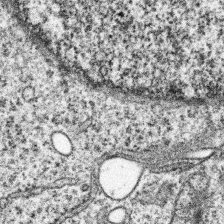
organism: Human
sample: HeLa cells